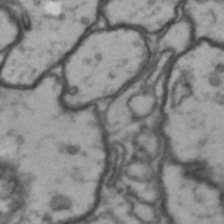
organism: Drosophila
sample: Brain